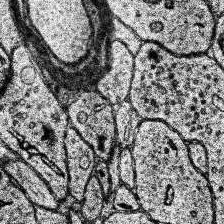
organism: Human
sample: Temporal Lobe